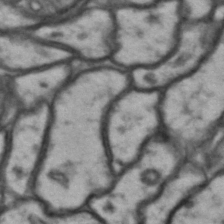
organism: Drosophila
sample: Brain